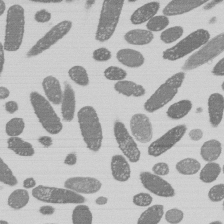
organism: E. coli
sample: Bacterial nucleoid